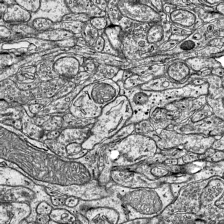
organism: Mouse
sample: Visual Cortex